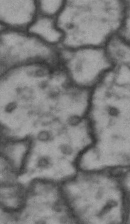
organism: Drosophila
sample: Brain